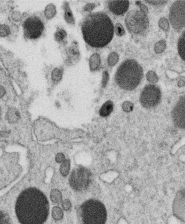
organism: C. elegans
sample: C. elegans oocyte; sperm cells